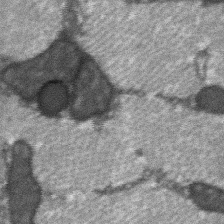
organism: C57BL Mouse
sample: Soleus